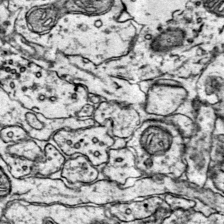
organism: Mouse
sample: Primary visual cortex